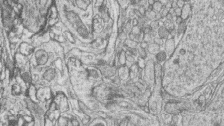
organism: Zebrafish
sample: synaptic ribbons in rod cells and cone cells